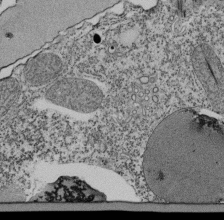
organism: Tetrahymena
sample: Cilia in tetrahymena